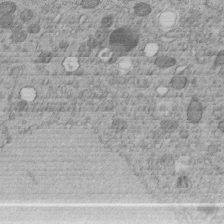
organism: C. elegans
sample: C. elegans embryo early stage